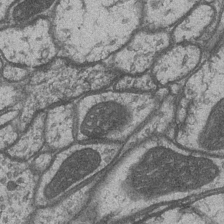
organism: Drosophila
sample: Optic medulla